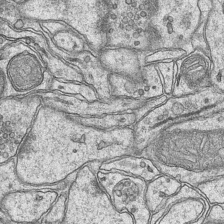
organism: Mouse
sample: CA1 Hippocampus